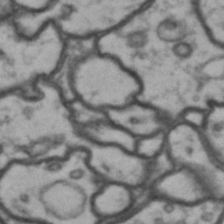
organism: Drosophila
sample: Brain